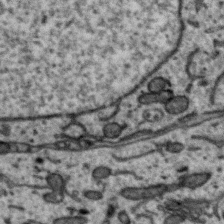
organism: Zebra finch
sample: Brain